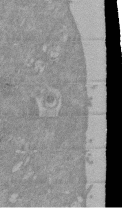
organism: Mouse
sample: ED-1 cell nuclei; centrioles